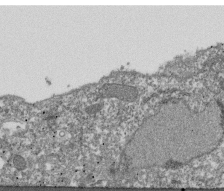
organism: Dictyostelium discoideum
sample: Dictyostelium multivesicular bodies